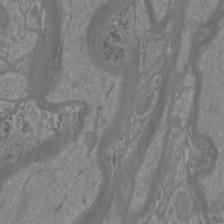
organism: Mouse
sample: Cortical neurons